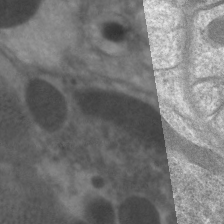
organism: C. elegans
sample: Pharynx